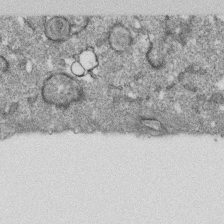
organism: African green monkey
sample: Vero E6 cells infected with SARS-CoV-2